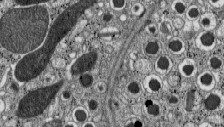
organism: C57BL Mouse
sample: Pancreatic islet